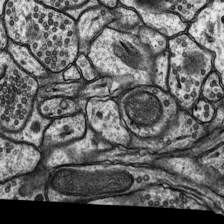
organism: Rat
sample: Hippocampus